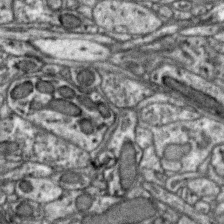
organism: Zebra finch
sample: Brain